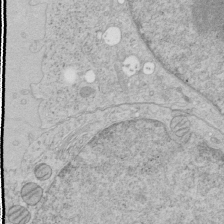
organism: Human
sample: Mitochondria in HCT116 cells